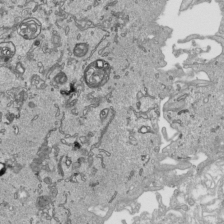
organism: Human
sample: Mitochondria in HCT116 cells